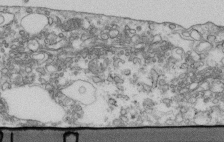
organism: Human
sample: Centriole in fibroblast cells